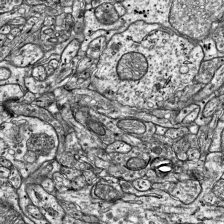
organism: Mouse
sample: Visual Cortex